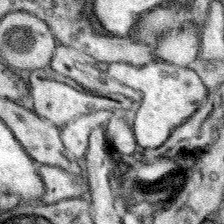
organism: Mouse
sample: Somatosensory cortex neuropil